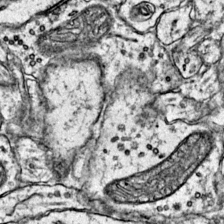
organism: Mouse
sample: Primary visual cortex